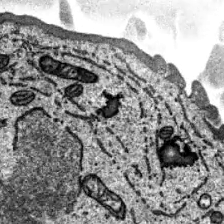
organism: Human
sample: HeLa cells